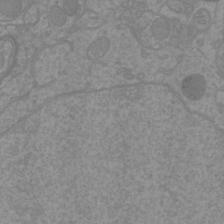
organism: Mouse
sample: Cortical neurons